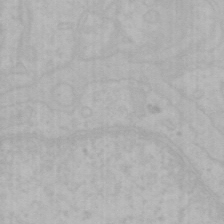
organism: Mouse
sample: Choroid plexus